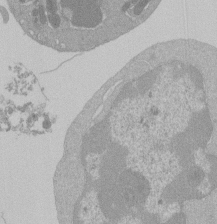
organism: Mouse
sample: Activated Pmel transgenic CD8+ T Cells